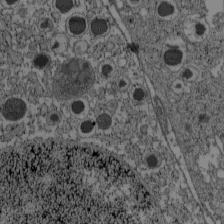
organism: C57BL Mouse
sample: Pancreatic islet